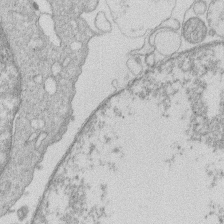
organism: Human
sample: Macrophage cells